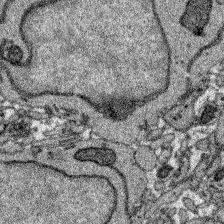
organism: Zebrafish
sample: Larval olfactory bulb